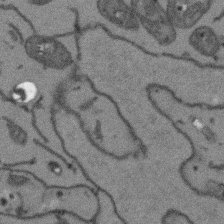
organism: Arabidopsis thaliana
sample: Root tip